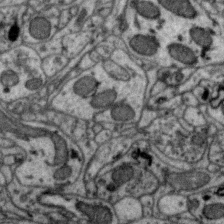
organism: Zebra finch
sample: Brain